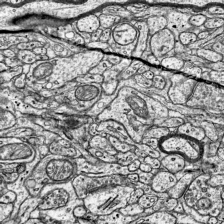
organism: Mouse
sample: Visual Cortex